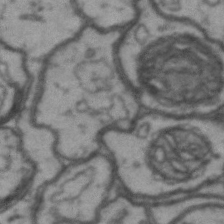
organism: Drosophila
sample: Brain